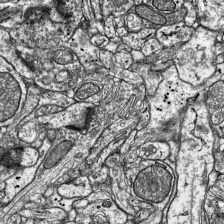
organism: Mouse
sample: Visual Cortex